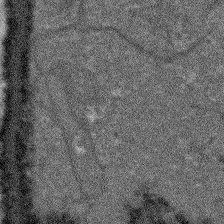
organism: Arabidopsis thaliana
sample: Root tip